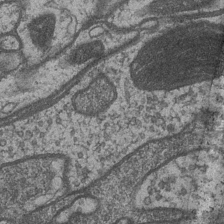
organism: Drosophila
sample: Optic medulla